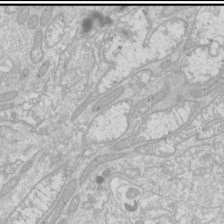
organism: Drosophila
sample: Cell division; meiosis; drosophila spermatocytes